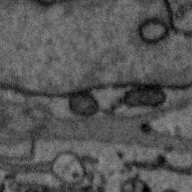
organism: Zebra finch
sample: Brain